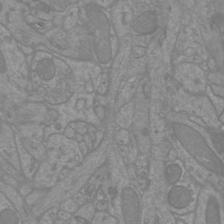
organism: Mouse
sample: Cortical neurons